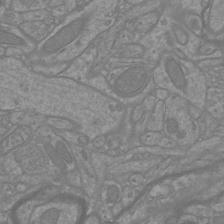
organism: Mouse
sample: Cortical neurons